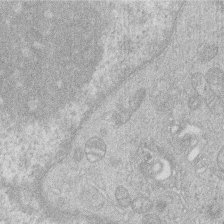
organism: Human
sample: Macrophage cells